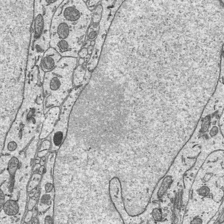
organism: Mouse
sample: Suprachiasmatic nucleus